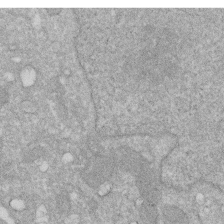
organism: Human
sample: HIV infected U937 cells